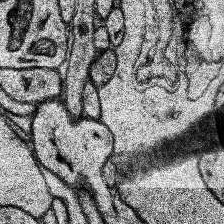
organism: Human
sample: Temporal Lobe